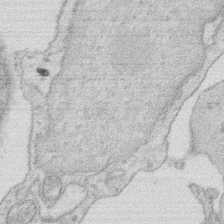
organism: Rat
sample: Salivary granule